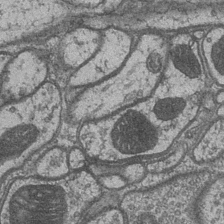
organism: Drosophila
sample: Optic medulla